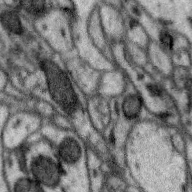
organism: Zebra finch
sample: Brain